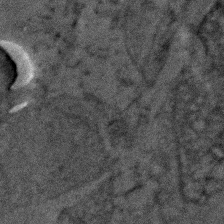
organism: Zebrafish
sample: Zebrafish embryo